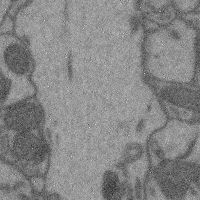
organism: Mouse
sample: Cerebral cortex